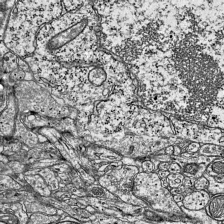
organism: Mouse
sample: Visual Cortex